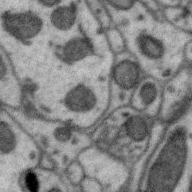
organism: Zebra finch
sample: Brain